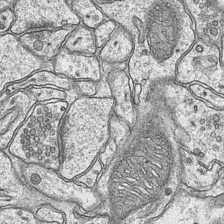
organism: Mouse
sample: CA1 Hippocampus